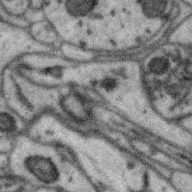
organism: Zebra finch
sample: Brain